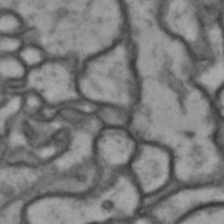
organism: Drosophila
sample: Brain